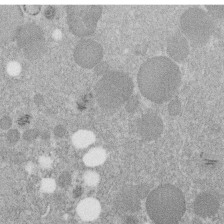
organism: C. elegans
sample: C. elegans embryo early stage